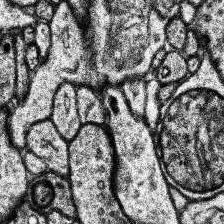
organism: Human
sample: Temporal Lobe